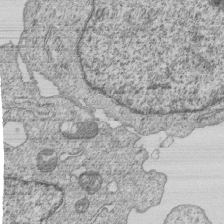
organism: Human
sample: MDA-MB-231 cells